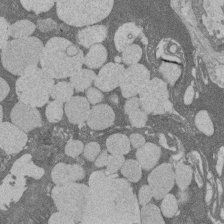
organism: Rat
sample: Salivary granule